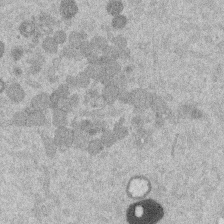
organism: Mouse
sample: Dividing mouse embryo 1 cell stage